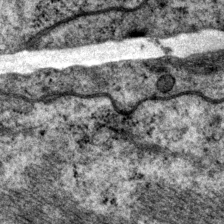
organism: P. pacificus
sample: Pharynx